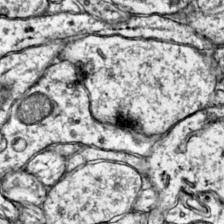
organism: Mouse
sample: Primary visual cortex